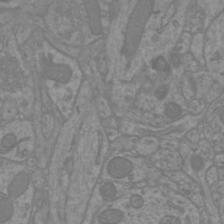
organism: Mouse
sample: Cortical neurons